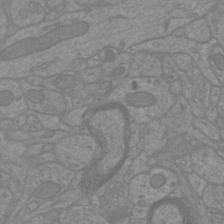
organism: Mouse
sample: Cortical neurons